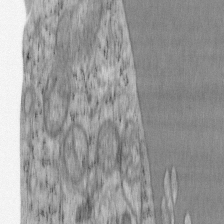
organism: Human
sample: HeLa cells